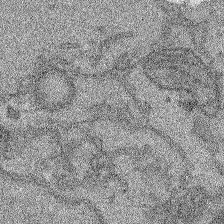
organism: Human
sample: HeLa cells